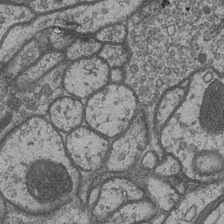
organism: Drosophila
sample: Optic medulla